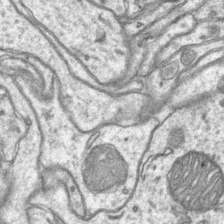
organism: Mouse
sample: CA1 Hippocampus